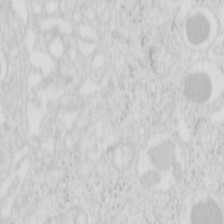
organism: Mouse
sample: Pancreas